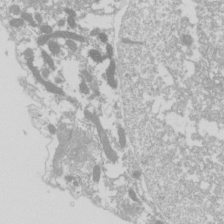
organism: Drosophila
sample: Cell division; meiosis; drosophila spermatocytes